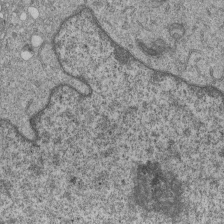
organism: Human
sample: MDA-MB-231 cells